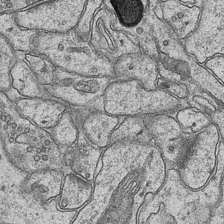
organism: Mouse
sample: CA1 Hippocampus